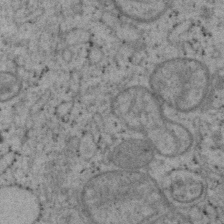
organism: Human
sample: HeLa cells